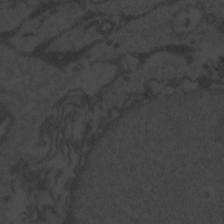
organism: Zebrafish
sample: Macrophage infected with Toxoplasma gondii